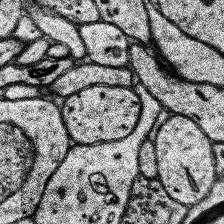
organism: Human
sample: Temporal Lobe